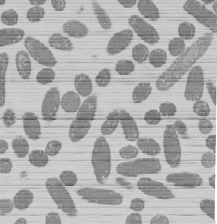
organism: E. coli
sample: Bacterial nucleoid